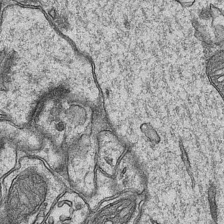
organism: Mouse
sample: CA1 Hippocampus